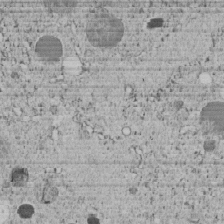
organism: C. elegans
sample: C. elegans embryo early stage